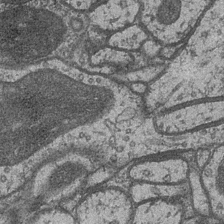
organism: Drosophila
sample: Optic medulla